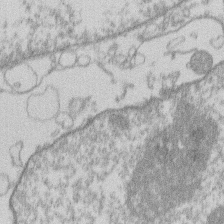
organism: Human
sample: Macrophage cells